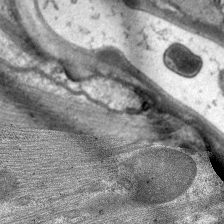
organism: C. elegans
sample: Pharynx